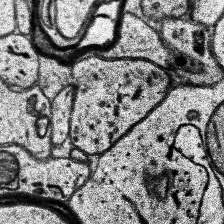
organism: Human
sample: Temporal Lobe